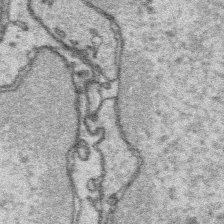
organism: Platynereis dumerilii